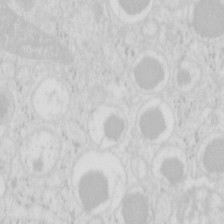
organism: Mouse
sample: Pancreas